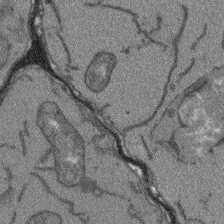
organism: Arabidopsis thaliana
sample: Root tip